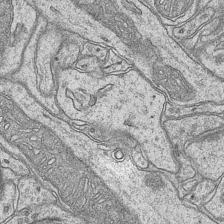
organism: Mouse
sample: CA1 Hippocampus